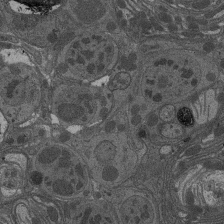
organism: Drosophila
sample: Antenna